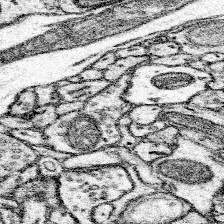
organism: Mouse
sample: Somatosensory cortex neuropil